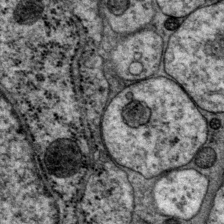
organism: P. pacificus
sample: Pharynx